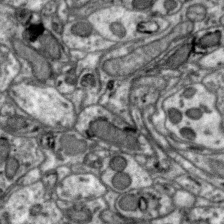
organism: Zebra finch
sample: Brain